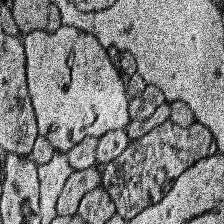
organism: Human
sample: Temporal Lobe